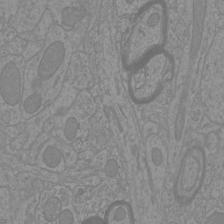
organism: Mouse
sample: Cortical neurons